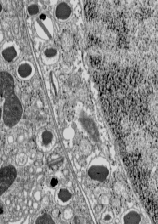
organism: C57BL Mouse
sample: Pancreatic islet